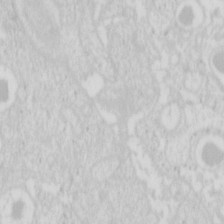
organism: Mouse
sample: Pancreas